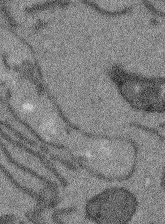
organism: Arabidopsis thaliana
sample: Root tip